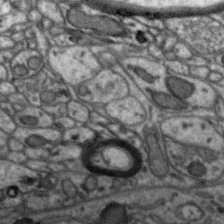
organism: Zebra finch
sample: Brain